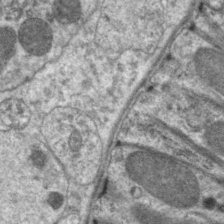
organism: C. elegans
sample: Pharynx